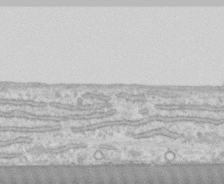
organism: Human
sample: CRL-1474